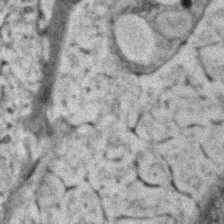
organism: Zebrafish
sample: Zebrafish embryo